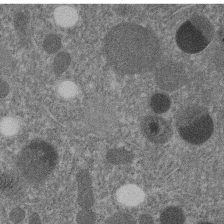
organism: C. elegans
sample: C. elegans embryo early stage